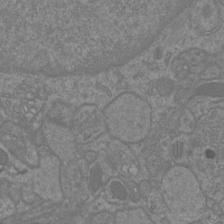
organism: Mouse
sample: Cortical neurons